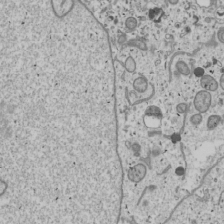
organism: Human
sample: Mitochondria in U2OS cells